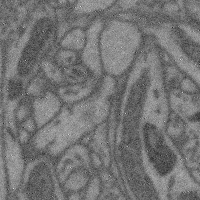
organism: Mouse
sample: Cerebral cortex